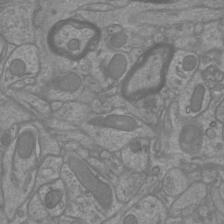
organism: Mouse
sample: Cortical neurons